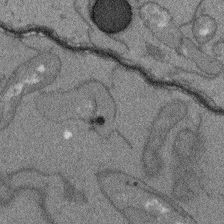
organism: Arabidopsis thaliana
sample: Root tip